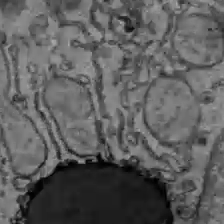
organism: C57BL Mouse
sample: Liver